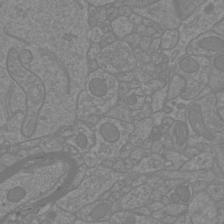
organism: Mouse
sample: Cortical neurons